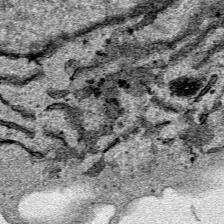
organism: Human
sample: Mitochondria in HCT116 cells